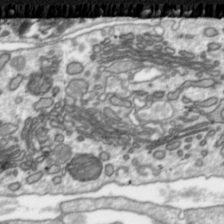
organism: Toxoplasma gondii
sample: Parasites in a vacuole inside a host cell